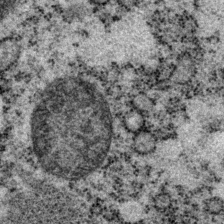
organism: P. pacificus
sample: Pharynx